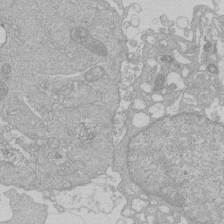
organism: Human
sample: Macrophage cells